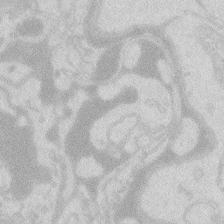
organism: Zebrafish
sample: Macrophage